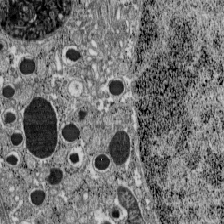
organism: C57BL Mouse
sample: Pancreatic islet